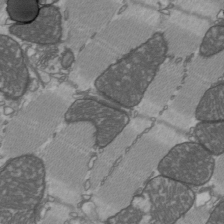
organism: C57BL Mouse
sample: Heart